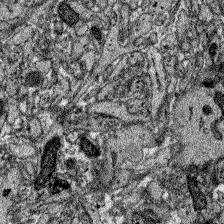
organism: Zebrafish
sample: Larval olfactory bulb